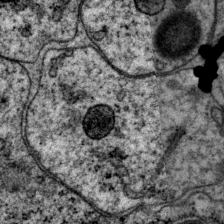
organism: P. pacificus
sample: Pharynx